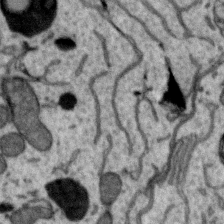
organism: Zebra finch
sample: Brain